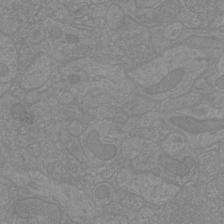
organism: Mouse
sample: Cortical neurons